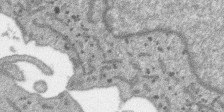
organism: Human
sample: Lung epithelial cells infected with SARS-CoV-2